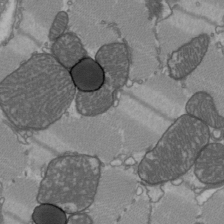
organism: C57BL Mouse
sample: Heart